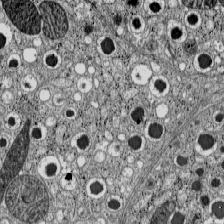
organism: C57BL Mouse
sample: Pancreatic islet